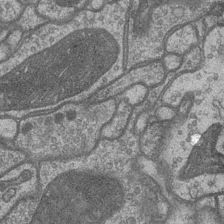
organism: Drosophila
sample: Optic medulla